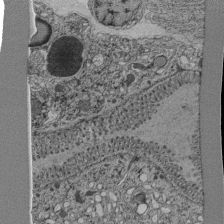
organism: C. elegans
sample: C. elegans pharynx